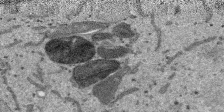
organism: Human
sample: Lung epithelial cells infected with SARS-CoV-2